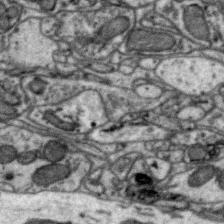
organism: Zebra finch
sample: Brain